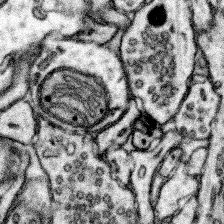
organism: Mouse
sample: Somatosensory cortex neuropil